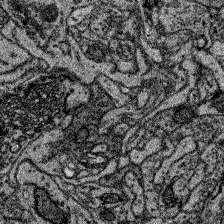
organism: Zebrafish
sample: Larval olfactory bulb